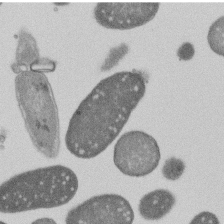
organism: E. coli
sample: Bacterial nucleoid